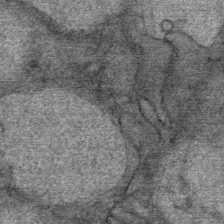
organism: Mouse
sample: Mouse Salivary gland